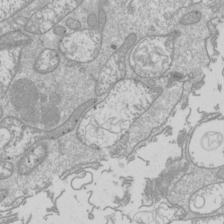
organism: Drosophila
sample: Cell division; meiosis; drosophila spermatocytes